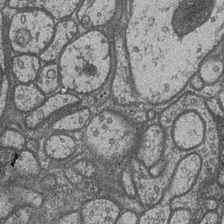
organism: Drosophila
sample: Optic medulla